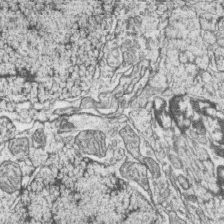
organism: Zebrafish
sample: synaptic ribbons in rod cells and cone cells